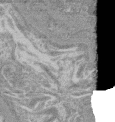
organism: Mouse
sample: Glomerulus